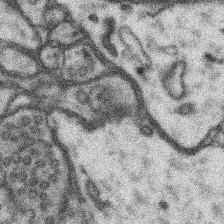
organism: Mouse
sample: Somatosensory cortex neuropil